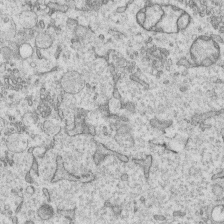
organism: Human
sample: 1205lu cells